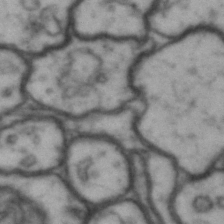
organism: Drosophila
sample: Brain